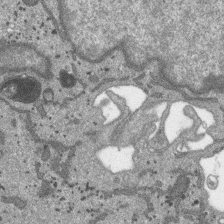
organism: Human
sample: Lung epithelial cells infected with SARS-CoV-2